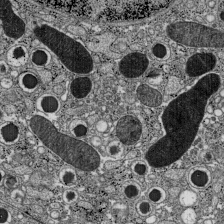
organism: C57BL Mouse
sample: Pancreatic islet